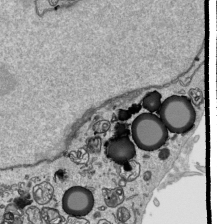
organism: Human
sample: Mitochondria in HCT116 cells